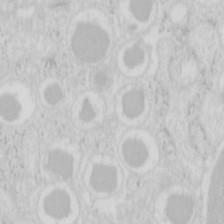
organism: Mouse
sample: Pancreas